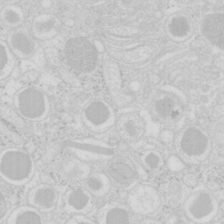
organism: Mouse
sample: Pancreas